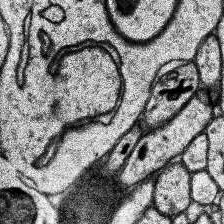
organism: Human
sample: Temporal Lobe